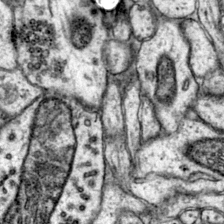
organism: Mouse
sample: Primary visual cortex